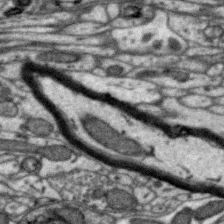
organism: Zebra finch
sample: Brain